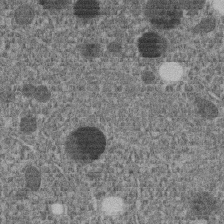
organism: C. elegans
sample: C. elegans embryo early stage